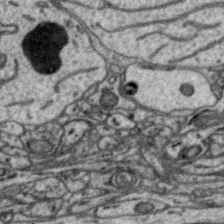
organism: Zebra finch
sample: Brain